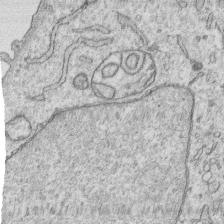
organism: Human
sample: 1205lu cells